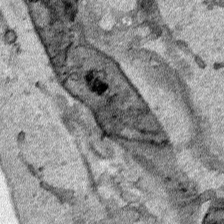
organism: Human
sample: Mitochondria in HCT116 cells